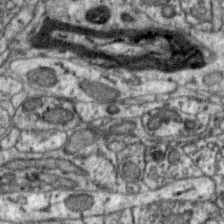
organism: Zebra finch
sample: Brain